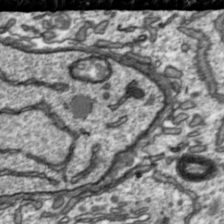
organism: Toxoplasma gondii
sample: Parasites in a vacuole inside a host cell